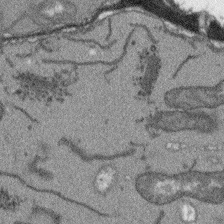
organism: Arabidopsis thaliana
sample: Root tip